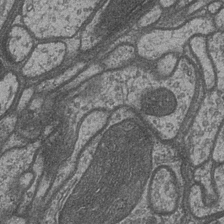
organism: Drosophila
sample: Optic medulla